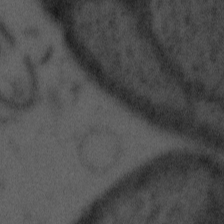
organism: Tuwongella immobilis